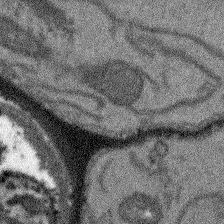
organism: Arabidopsis thaliana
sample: Root tip